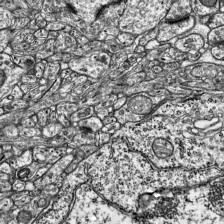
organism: Mouse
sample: Visual Cortex